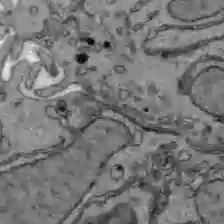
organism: C57BL Mouse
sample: Liver